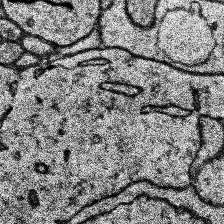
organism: Human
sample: Temporal Lobe